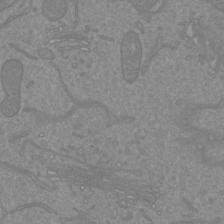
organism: Mouse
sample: Cortical neurons